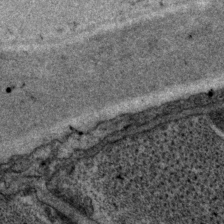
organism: P. pacificus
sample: Pharynx